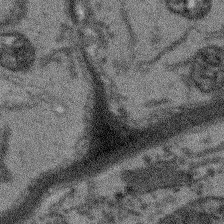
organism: Arabidopsis thaliana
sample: Root tip